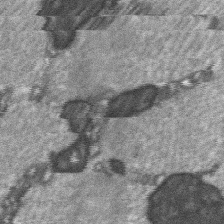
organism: C57BL Mouse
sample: Soleus